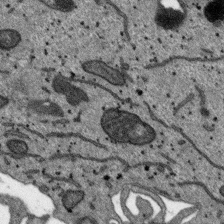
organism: Human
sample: Lung epithelial cells, uninfected (mock) control